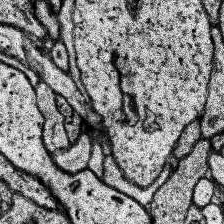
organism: Human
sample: Temporal Lobe